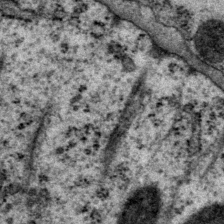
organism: P. pacificus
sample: Pharynx